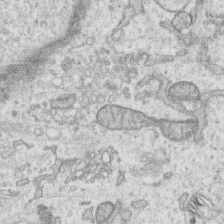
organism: Human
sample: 1205lu cells